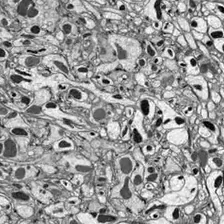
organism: Drosophila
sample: Optic lobe